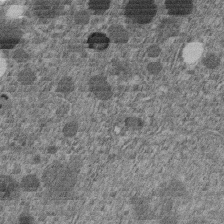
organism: C. elegans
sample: C. elegans embryo early stage